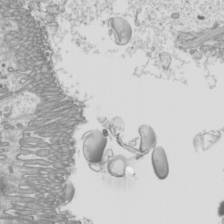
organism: Mouse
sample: Cilia; mouse epididymis